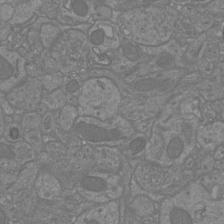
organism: Mouse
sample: Cortical neurons